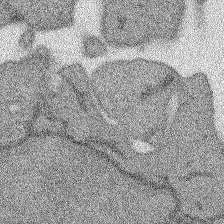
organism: Human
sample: HeLa cells